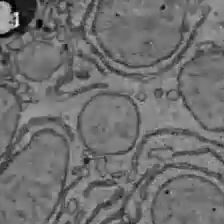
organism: C57BL Mouse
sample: Liver